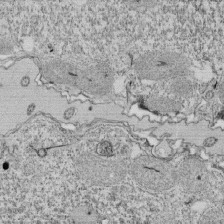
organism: Tetrahymena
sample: Cilia in tetrahymena